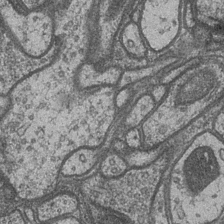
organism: Drosophila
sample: Optic medulla